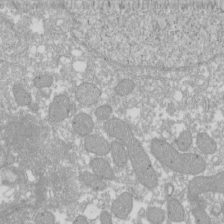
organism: Xenopus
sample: Cilia; centrioles in frog embryo cells